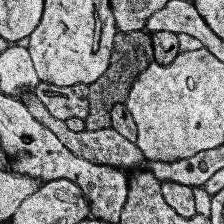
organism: Human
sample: Temporal Lobe